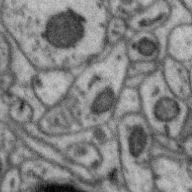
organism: Zebra finch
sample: Brain